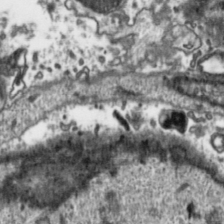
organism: Toxoplasma gondii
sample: Parasites in a vacuole inside a host cell